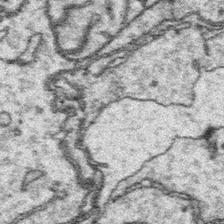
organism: Platynereis dumerilii